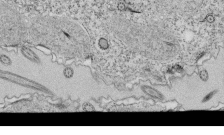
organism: Tetrahymena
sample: Cilia in tetrahymena